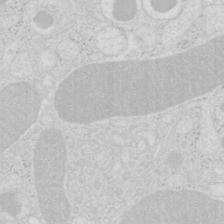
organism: Mouse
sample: Pancreas